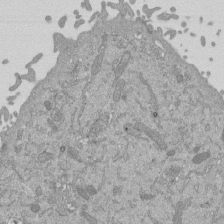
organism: Mouse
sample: ED-1 cell nuclei; centrioles